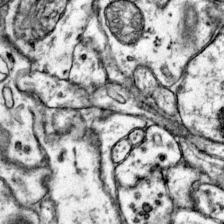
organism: Mouse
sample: Primary visual cortex